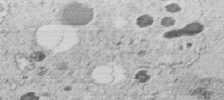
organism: C. elegans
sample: C. elegans embryo early stage